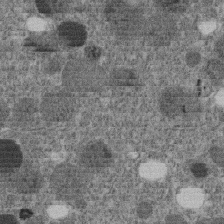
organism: C. elegans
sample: C. elegans embryo early stage